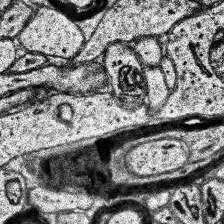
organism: Human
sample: Temporal Lobe